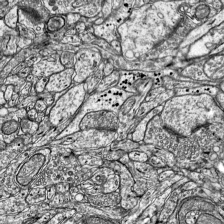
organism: Mouse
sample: Visual Cortex